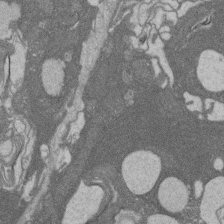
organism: Rat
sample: Salivary granule